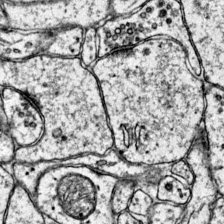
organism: Mouse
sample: Primary visual cortex